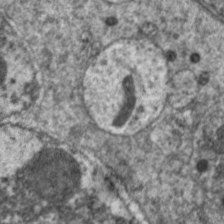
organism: C. elegans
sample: Pharynx